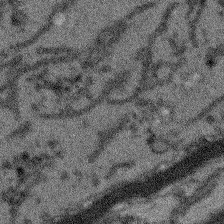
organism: Arabidopsis thaliana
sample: Root tip